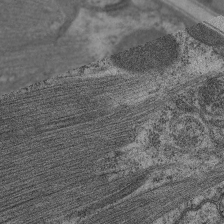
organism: C. elegans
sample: Pharynx